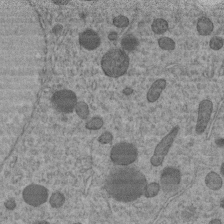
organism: C. elegans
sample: C. elegans embryo early stage